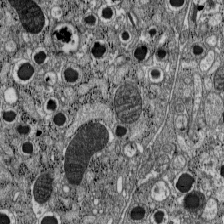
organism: C57BL Mouse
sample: Pancreatic islet